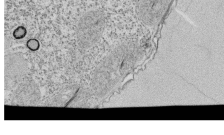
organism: Tetrahymena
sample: Cilia in tetrahymena